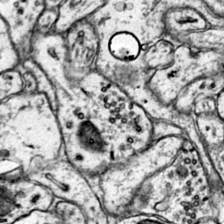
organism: Mouse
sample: Primary visual cortex